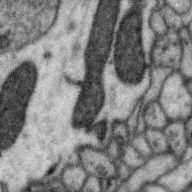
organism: Zebra finch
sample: Brain